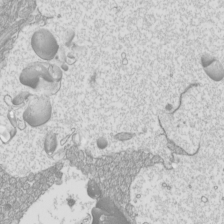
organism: Mouse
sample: Cilia; mouse epididymis